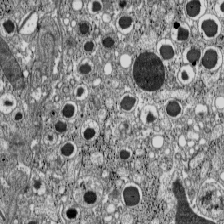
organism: C57BL Mouse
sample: Pancreatic islet